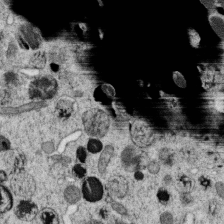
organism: C. elegans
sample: C. elegans oocyte; sperm cells